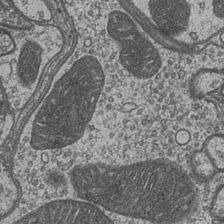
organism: Drosophila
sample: Optic medulla